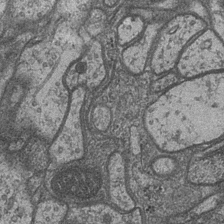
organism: Drosophila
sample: Optic medulla